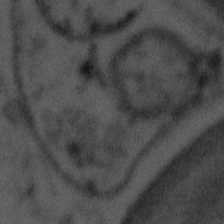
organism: Tuwongella immobilis